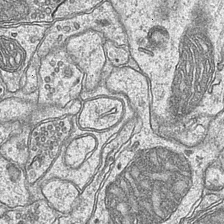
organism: Mouse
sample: CA1 Hippocampus